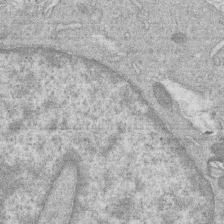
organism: Human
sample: Macrophage cells